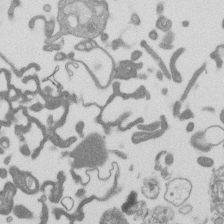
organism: Mouse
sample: Dividing mouse embryo 1 cell stage